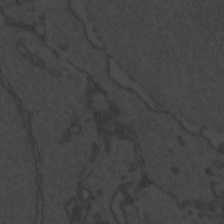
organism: Zebrafish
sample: Macrophage infected with Toxoplasma gondii